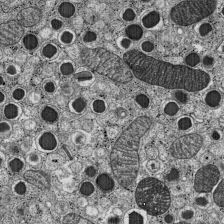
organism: C57BL Mouse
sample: Pancreatic islet